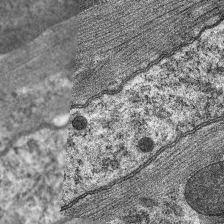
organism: C. elegans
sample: Pharynx